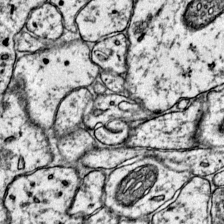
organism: Mouse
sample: Primary visual cortex